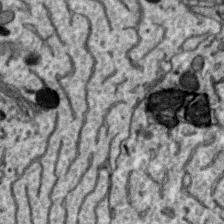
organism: Zebra finch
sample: Brain